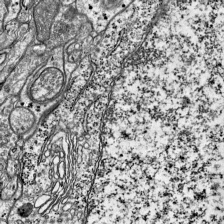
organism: Mouse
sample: Visual Cortex